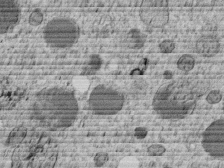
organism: C. elegans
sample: C. elegans embryo early stage